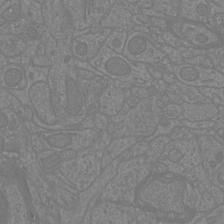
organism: Mouse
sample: Cortical neurons